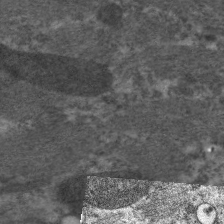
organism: C. elegans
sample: Pharynx